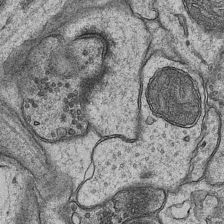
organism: Mouse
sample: CA1 Hippocampus